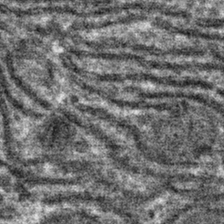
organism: Mouse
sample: Mouse hepatocytes